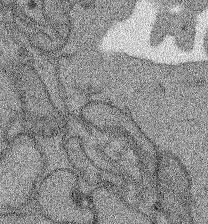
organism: Human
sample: HeLa cells